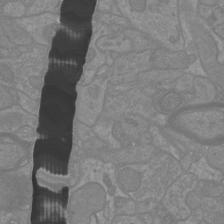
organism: Mouse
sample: Cortical neurons